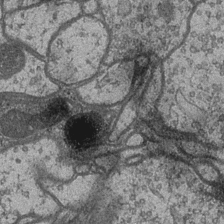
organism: Drosophila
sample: Optic medulla